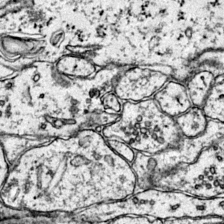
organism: Mouse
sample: Primary visual cortex